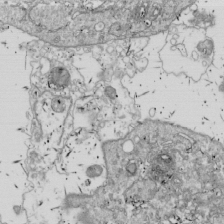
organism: Drosophila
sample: Cell division; meiosis; drosophila spermatocytes